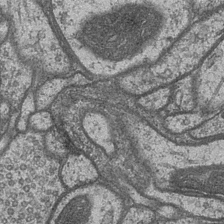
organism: Drosophila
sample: Optic medulla